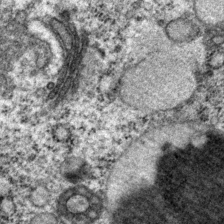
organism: P. pacificus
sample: Pharynx